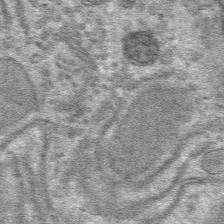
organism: Mouse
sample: Mouse hepatocytes